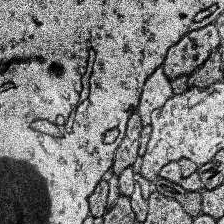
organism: Human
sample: Temporal Lobe